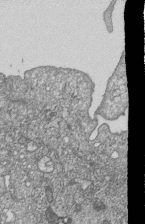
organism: Human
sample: MDA-MB-231 cells